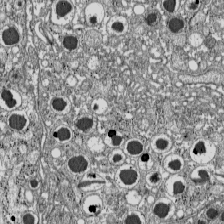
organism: C57BL Mouse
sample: Pancreatic islet